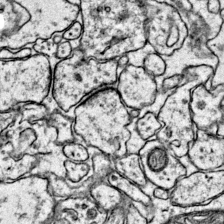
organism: Mouse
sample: Primary visual cortex